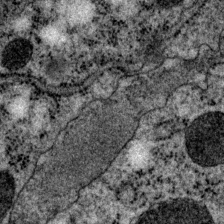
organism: P. pacificus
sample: Pharynx